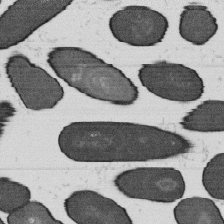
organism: B. subtilis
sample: Bacterial spore